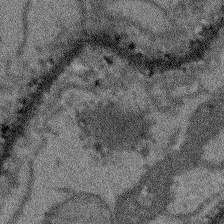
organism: Arabidopsis thaliana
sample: Root tip